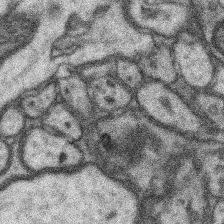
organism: Mouse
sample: Somatosensory cortex neuropil